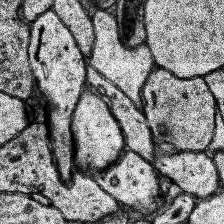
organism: Human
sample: Temporal Lobe